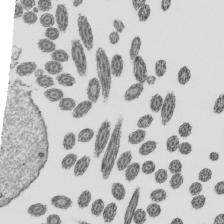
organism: Mouse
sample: Mouse epididymis efferent ductule cilia